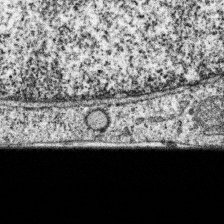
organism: Human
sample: HeLa cells